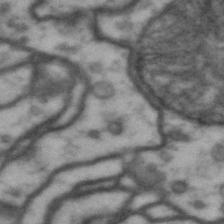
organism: Drosophila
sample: Brain